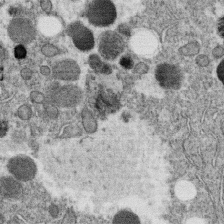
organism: C. elegans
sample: C. elegans oocyte; sperm cells